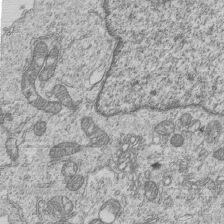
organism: Human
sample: MDA-MB-231 cells